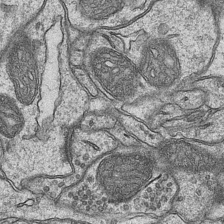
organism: Mouse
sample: CA1 Hippocampus